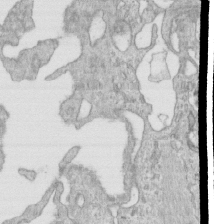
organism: Human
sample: Centriole in RPE cells